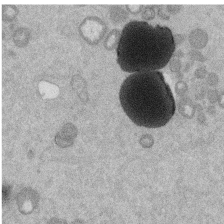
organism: Mouse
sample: Dividing mouse embryo 1 cell stage